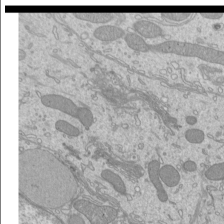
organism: Mouse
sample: Cilia; mouse epididymis